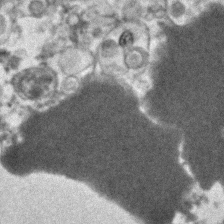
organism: Human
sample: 1205lu cells